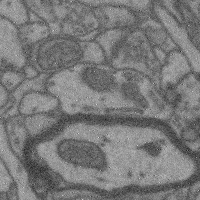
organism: Mouse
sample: Cerebral cortex